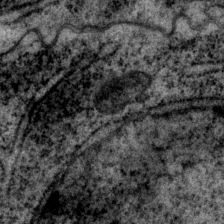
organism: P. pacificus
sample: Pharynx